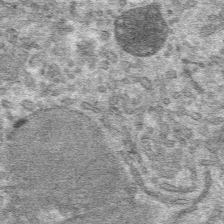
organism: Mouse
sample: Mouse hepatocytes